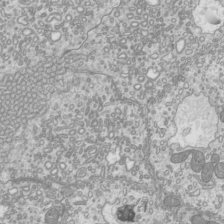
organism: Mouse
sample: Cilia; mouse epididymis